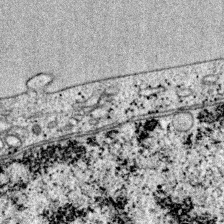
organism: Human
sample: HeLa cells